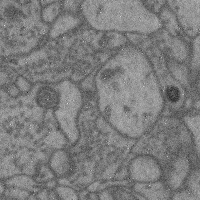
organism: Mouse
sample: Cerebral cortex